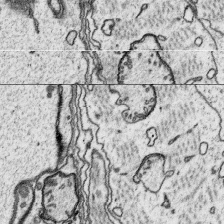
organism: Platynereis dumerilii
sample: Parapodia